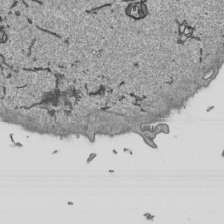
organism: Human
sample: Mitochondria in HCT116 cells